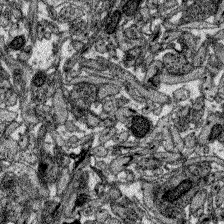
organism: Zebrafish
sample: Larval olfactory bulb